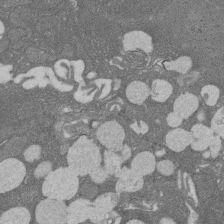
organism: Rat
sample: Salivary granule